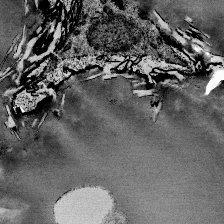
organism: Mouse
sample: Mouse Salivary gland